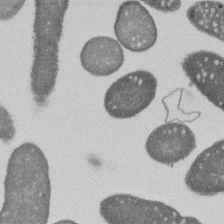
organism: E. coli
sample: Bacterial nucleoid